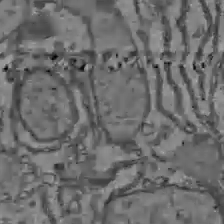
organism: C57BL Mouse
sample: Liver